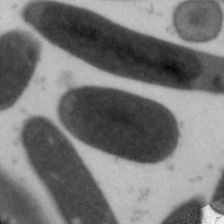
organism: C. elegans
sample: Pharynx